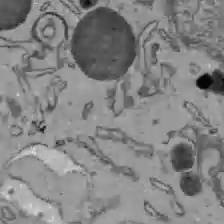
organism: C57BL Mouse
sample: Liver